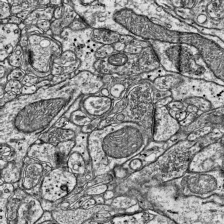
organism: Mouse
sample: Visual Cortex